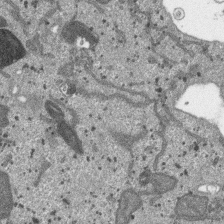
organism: Human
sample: Lung epithelial cells infected with SARS-CoV-2